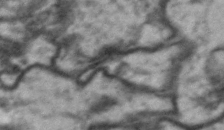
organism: Drosophila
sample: Brain